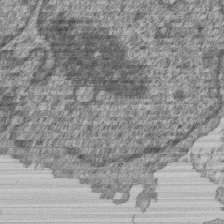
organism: Human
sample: MDA-MB-231 cells